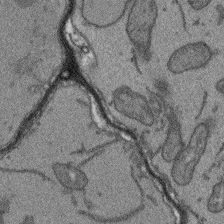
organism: Arabidopsis thaliana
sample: Root tip